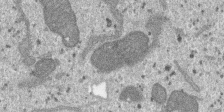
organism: Human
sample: Lung epithelial cells infected with SARS-CoV-2